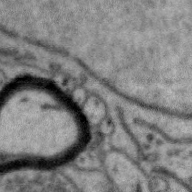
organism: Zebra finch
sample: Brain